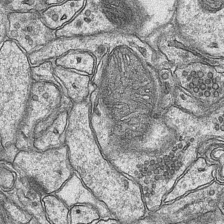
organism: Mouse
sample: CA1 Hippocampus